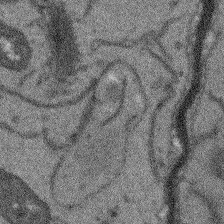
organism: Arabidopsis thaliana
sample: Root tip